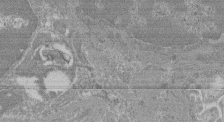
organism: Mouse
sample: Glomerulus